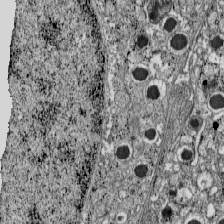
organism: C57BL Mouse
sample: Pancreatic islet